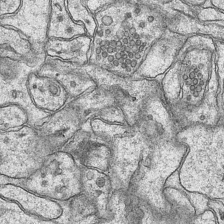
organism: Mouse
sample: CA1 Hippocampus